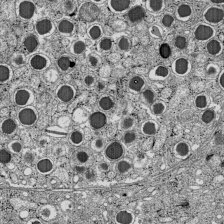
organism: C57BL Mouse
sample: Pancreatic islet